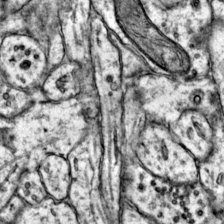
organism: Mouse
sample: Primary visual cortex